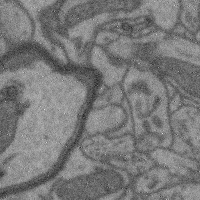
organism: Mouse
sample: Cerebral cortex